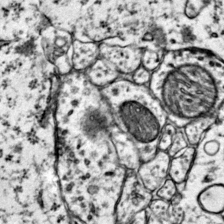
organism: Mouse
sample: Primary visual cortex